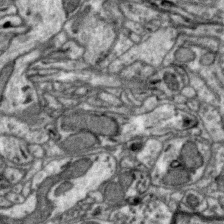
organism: Zebra finch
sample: Brain